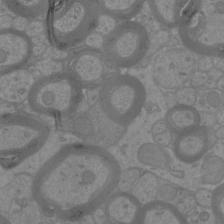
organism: Mouse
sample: Cortical neurons